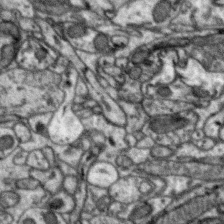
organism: Zebra finch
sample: Brain